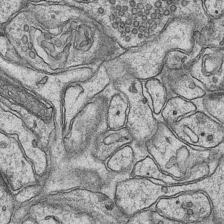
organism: Mouse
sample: CA1 Hippocampus